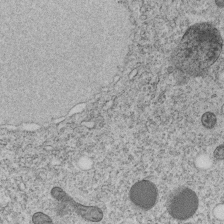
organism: C. elegans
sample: C. elegans embryo early stage